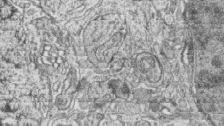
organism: Zebrafish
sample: synaptic ribbons in rod cells and cone cells